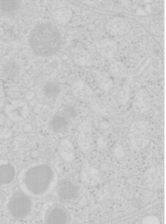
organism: Mouse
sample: Pancreas